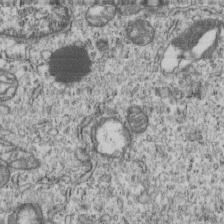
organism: Human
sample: MDA-MB-231 cells